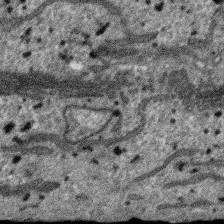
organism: Human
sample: Lung epithelial cells infected with SARS-CoV-2